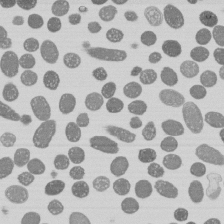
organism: E. coli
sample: Bacterial nucleoid